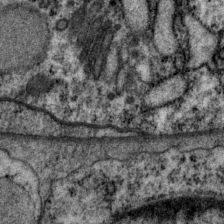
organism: P. pacificus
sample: Pharynx